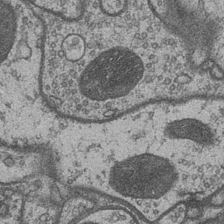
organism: Drosophila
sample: Optic medulla